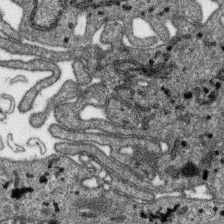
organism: Human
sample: Lung epithelial cells infected with SARS-CoV-2